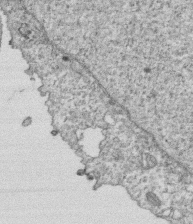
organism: Human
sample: HeLa cell HIV synapse